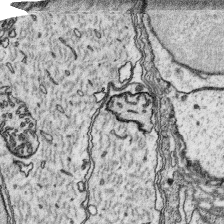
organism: Platynereis dumerilii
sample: Parapodia